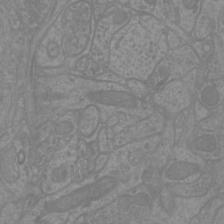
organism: Mouse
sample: Cortical neurons